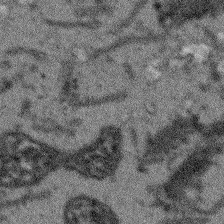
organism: Arabidopsis thaliana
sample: Root tip